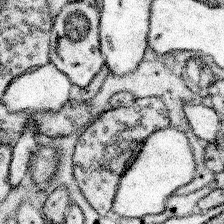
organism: Mouse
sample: Somatosensory cortex neuropil